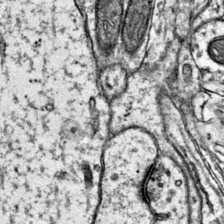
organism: Mouse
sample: Primary visual cortex